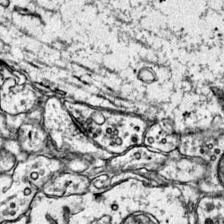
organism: Mouse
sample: Primary visual cortex